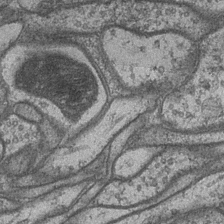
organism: Drosophila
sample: Optic medulla